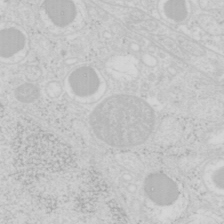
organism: Mouse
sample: Pancreas